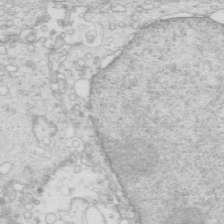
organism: Mouse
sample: Multiciliated cells